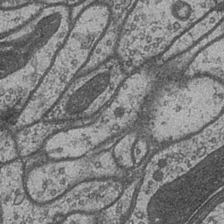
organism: Drosophila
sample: Optic medulla